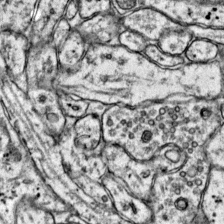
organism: Mouse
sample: Primary visual cortex